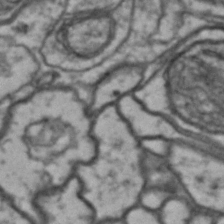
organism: Drosophila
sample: Brain